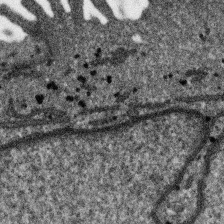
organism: Human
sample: Lung epithelial cells infected with SARS-CoV-2